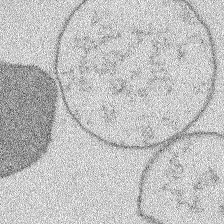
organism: Human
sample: HeLa cells